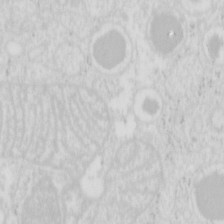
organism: Mouse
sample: Pancreas